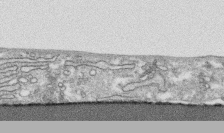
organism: Human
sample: CRL-1474